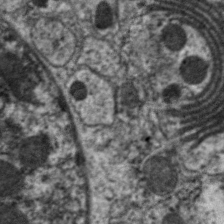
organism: C. elegans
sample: Pharynx